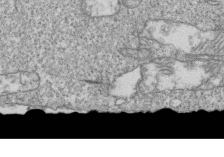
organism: Human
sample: HeLa cell HIV synapse